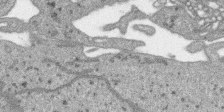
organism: Human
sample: Lung epithelial cells infected with SARS-CoV-2